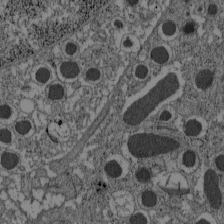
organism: C57BL Mouse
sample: Pancreatic islet